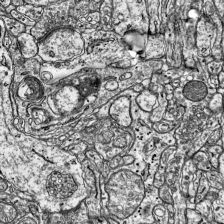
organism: Mouse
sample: Visual Cortex